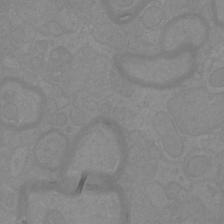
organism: Mouse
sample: Cortical neurons